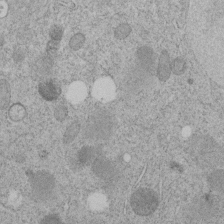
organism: C. elegans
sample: C. elegans embryo early stage